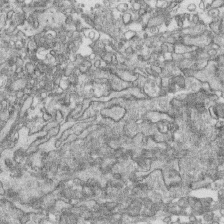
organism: Human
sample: CRL-1474